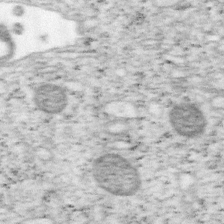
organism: Mouse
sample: OT-I killer T cells with ID8 ovarian cancer cells